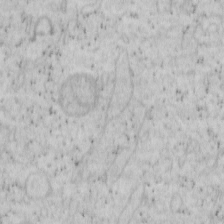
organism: Human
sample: HeLa cells